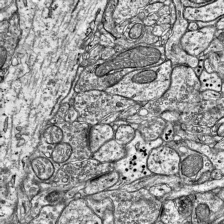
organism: Mouse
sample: Visual Cortex